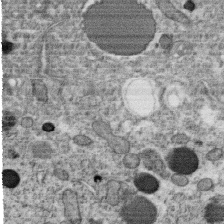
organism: C. elegans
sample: C. elegans oocyte; sperm cells